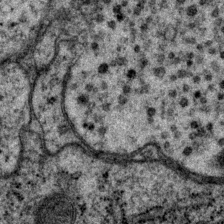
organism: P. pacificus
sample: Pharynx